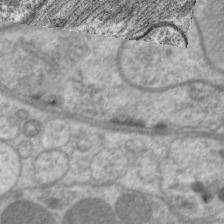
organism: C. elegans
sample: Pharynx